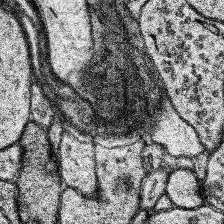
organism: Human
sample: Temporal Lobe